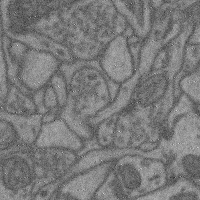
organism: Mouse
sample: Cerebral cortex